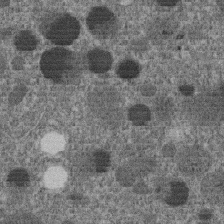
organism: C. elegans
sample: C. elegans embryo early stage